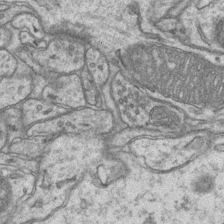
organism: Mouse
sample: CA1 Hippocampus